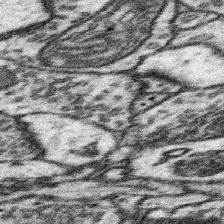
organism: Mouse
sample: Somatosensory cortex neuropil